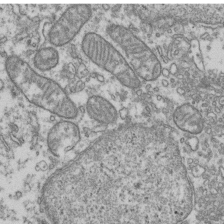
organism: Human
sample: Activated Jurkat CD4+ T cells